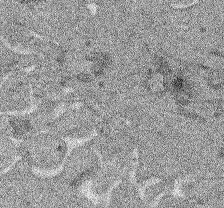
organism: Human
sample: HeLa cells